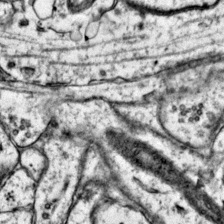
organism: Mouse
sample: Primary visual cortex